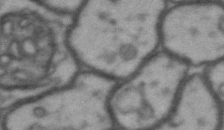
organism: Drosophila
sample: Brain